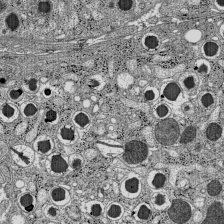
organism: C57BL Mouse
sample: Pancreatic islet